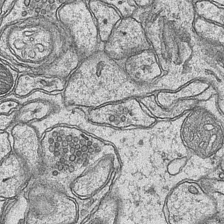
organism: Mouse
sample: CA1 Hippocampus